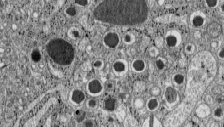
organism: C57BL Mouse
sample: Pancreatic islet